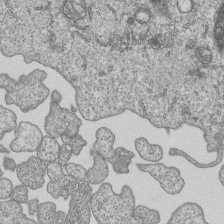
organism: Human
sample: MDA-MB-231 cells